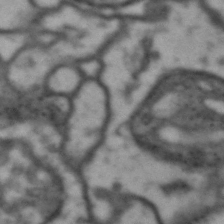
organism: Drosophila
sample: Brain